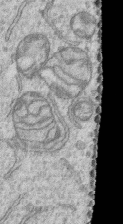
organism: Human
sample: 1205lu cells